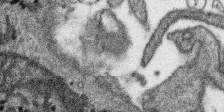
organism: Human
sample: Lung epithelial cells infected with SARS-CoV-2